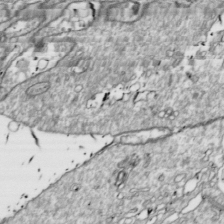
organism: Drosophila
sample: Cell division; meiosis; drosophila spermatocytes